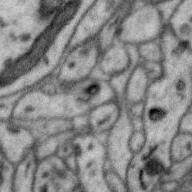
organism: Zebra finch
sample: Brain